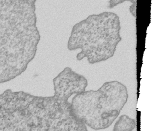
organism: Human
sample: MDA-MB-231 cells